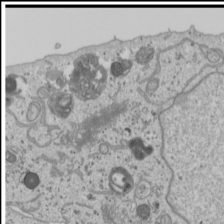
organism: Human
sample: Mitochondria in U2OS cells